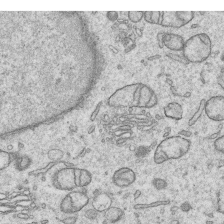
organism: Human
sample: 1205lu cells